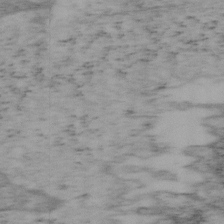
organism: Mouse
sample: OT-I killer T cells with ID8 ovarian cancer cells